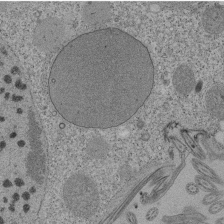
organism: Tetrahymena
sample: Cilia in tetrahymena